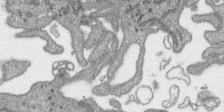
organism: Human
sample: Lung epithelial cells infected with SARS-CoV-2